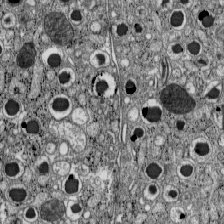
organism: C57BL Mouse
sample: Pancreatic islet